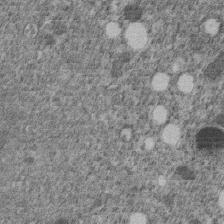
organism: C. elegans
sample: C. elegans embryo early stage